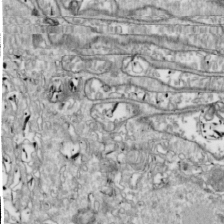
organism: Drosophila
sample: Cell division; meiosis; drosophila spermatocytes